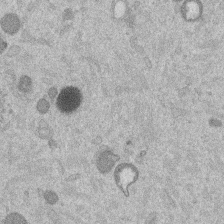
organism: Mouse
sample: Dividing mouse embryo 1 cell stage